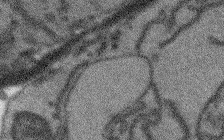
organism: Arabidopsis thaliana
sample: Root tip